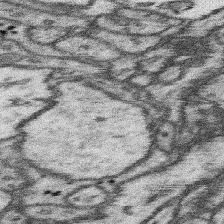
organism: Mouse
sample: Somatosensory cortex neuropil